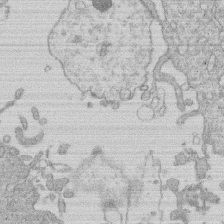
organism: Human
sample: Macrophage cells